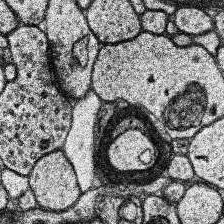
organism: Human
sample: Temporal Lobe